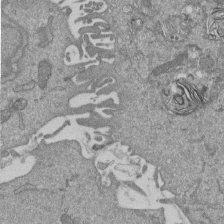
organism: Mouse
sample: ED-1 cell nuclei; centrioles